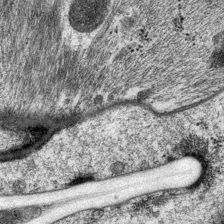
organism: P. pacificus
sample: Pharynx